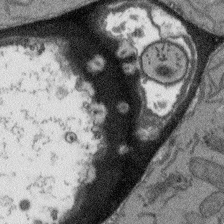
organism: Arabidopsis thaliana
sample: Root tip